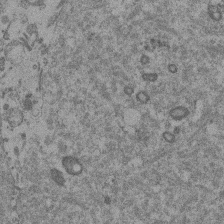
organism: Mouse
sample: Dividing mouse embryo 1 cell stage